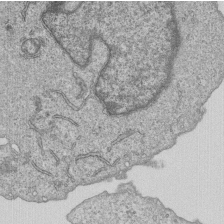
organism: Human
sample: MDA-MB-231 cells